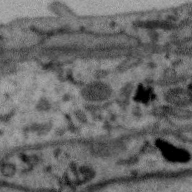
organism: Zebra finch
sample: Brain